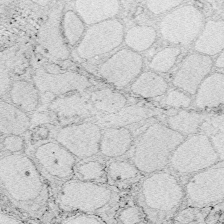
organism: Zebrafish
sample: Whole-Brain